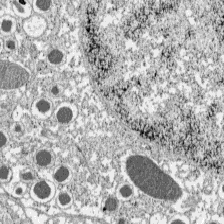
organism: C57BL Mouse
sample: Pancreatic islet